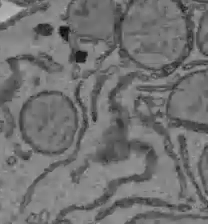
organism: C57BL Mouse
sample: Liver